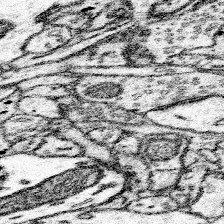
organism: Mouse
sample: Somatosensory cortex neuropil